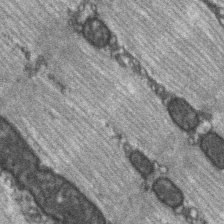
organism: C57BL Mouse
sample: Soleus